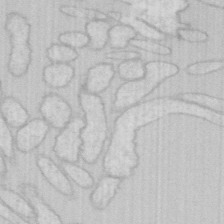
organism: Human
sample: HeLa cells